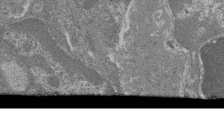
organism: Mouse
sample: Glomerulus